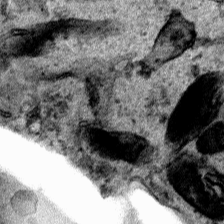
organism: Human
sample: Mitochondria in HCT116 cells